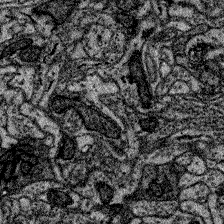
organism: Zebrafish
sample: Larval olfactory bulb